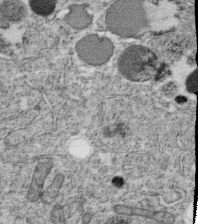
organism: C. elegans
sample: C. elegans oocyte; sperm cells